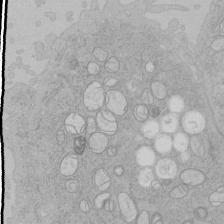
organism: Human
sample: Mitochondria in HCT116 cells